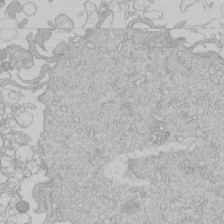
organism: Human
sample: Macrophage cells